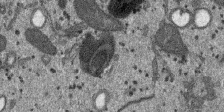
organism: Human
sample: Lung epithelial cells infected with SARS-CoV-2